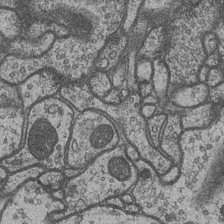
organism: Drosophila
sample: Optic medulla